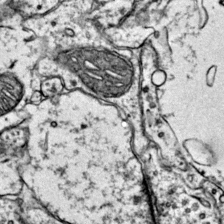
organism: Mouse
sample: Primary visual cortex